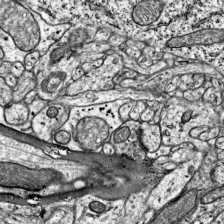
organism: Mouse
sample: Visual Cortex